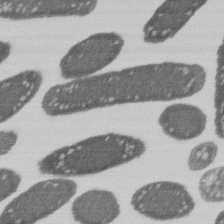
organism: E. coli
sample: Bacterial nucleoid